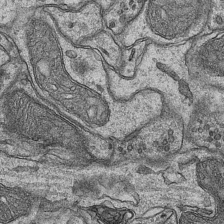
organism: Mouse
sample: CA1 Hippocampus